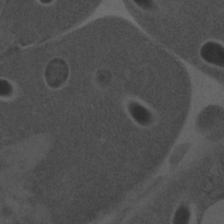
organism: C. elegans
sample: C. elegans embryo